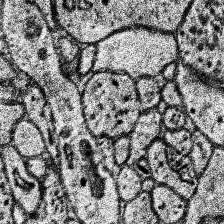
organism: Human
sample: Temporal Lobe